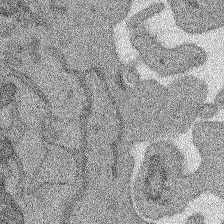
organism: Human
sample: HeLa cells